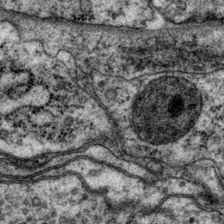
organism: P. pacificus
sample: Pharynx